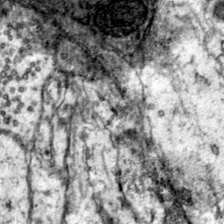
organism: Mouse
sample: Primary visual cortex